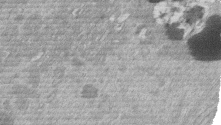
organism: Mouse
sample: Dividing mouse embryo 1 cell stage